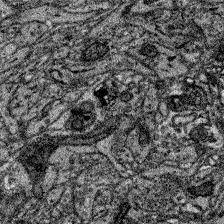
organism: Zebrafish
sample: Larval olfactory bulb